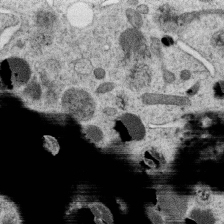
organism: C. elegans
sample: C. elegans oocyte; sperm cells